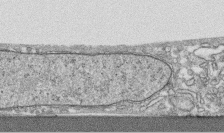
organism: Human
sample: CRL-1474